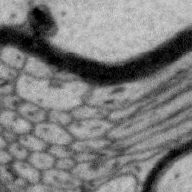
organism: Zebra finch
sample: Brain